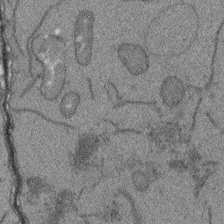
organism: Arabidopsis thaliana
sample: Root tip